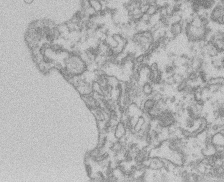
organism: Mouse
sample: T cell stromal cell synapse